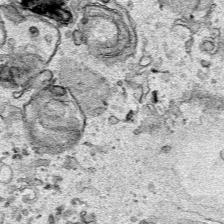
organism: Human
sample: Mitochondria in HCT116 cells